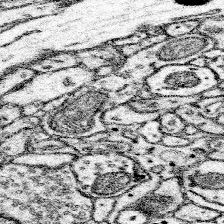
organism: Mouse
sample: Somatosensory cortex neuropil